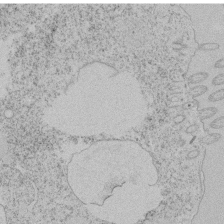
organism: Tetrahymena